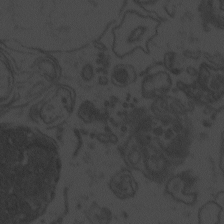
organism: Zebrafish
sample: Macrophage infected with Toxoplasma gondii